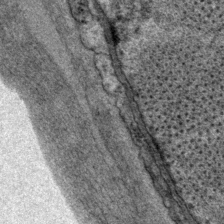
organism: P. pacificus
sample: Pharynx